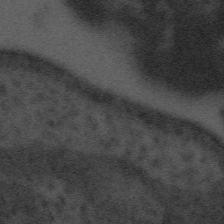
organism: Tuwongella immobilis